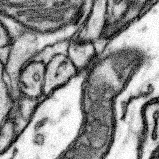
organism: Mouse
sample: Somatosensory cortex neuropil